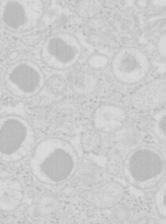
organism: Mouse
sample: Pancreas